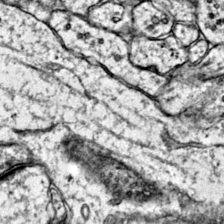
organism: Mouse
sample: Primary visual cortex